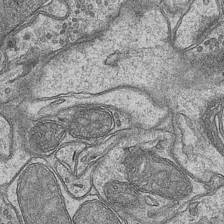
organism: Mouse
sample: CA1 Hippocampus